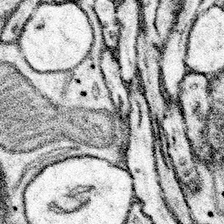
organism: Mouse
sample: Somatosensory cortex neuropil